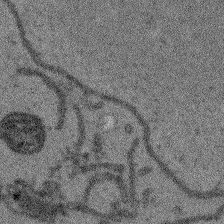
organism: Arabidopsis thaliana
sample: Root tip